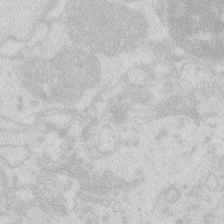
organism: Zebrafish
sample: Macrophage